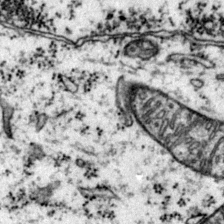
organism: Mouse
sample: Primary visual cortex